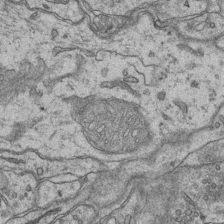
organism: Mouse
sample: CA1 Hippocampus